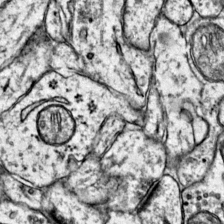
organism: Mouse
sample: Primary visual cortex